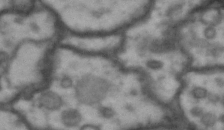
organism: Drosophila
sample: Brain